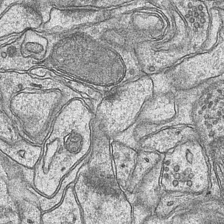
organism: Mouse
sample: CA1 Hippocampus